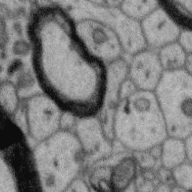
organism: Zebra finch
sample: Brain